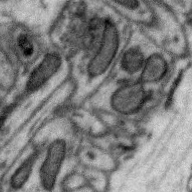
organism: Zebra finch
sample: Brain